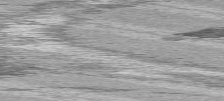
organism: C57BL Mouse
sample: Heart